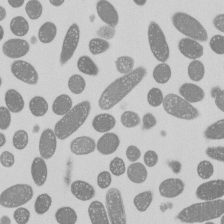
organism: E. coli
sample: Bacterial nucleoid